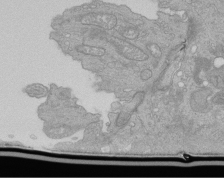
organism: Human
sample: Retinal organoid Rod and Cone cells